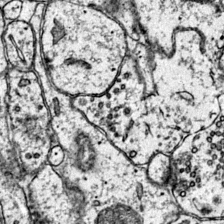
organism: Mouse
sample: Primary visual cortex